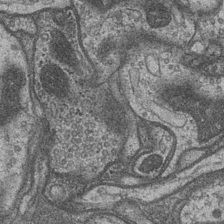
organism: Drosophila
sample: Optic medulla